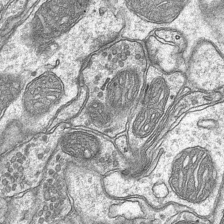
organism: Mouse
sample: CA1 Hippocampus